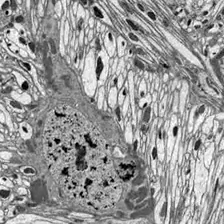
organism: Drosophila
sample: Optic lobe